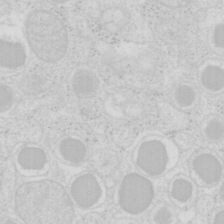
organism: Mouse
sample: Pancreas